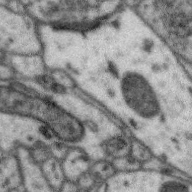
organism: Zebra finch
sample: Brain